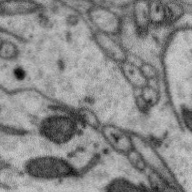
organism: Zebra finch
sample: Brain